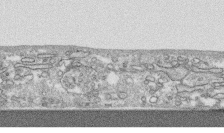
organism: Human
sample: CRL-1474